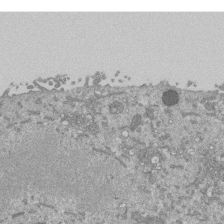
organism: Mouse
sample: ED-1 cell nuclei; centrioles